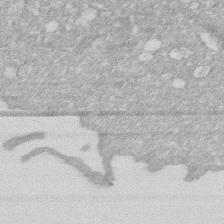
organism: Human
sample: HIV infected U937 cells